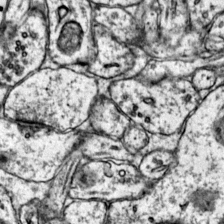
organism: Mouse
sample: Primary visual cortex